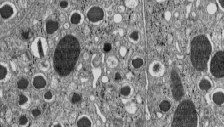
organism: C57BL Mouse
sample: Pancreatic islet